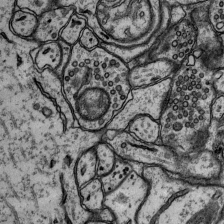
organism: Rat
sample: Hippocampus